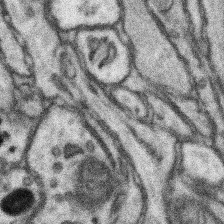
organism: Mouse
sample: Somatosensory cortex neuropil